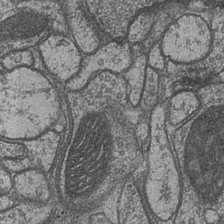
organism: Drosophila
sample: Optic medulla